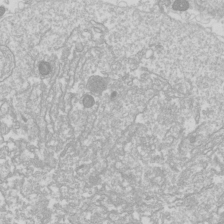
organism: Drosophila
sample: Cell division; meiosis; drosophila spermatocytes